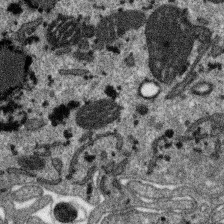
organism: Human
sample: Lung epithelial cells infected with SARS-CoV-2